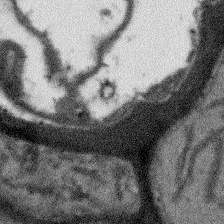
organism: Arabidopsis thaliana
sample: Root tip